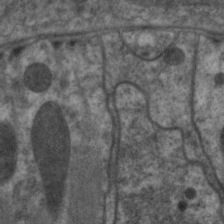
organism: C. elegans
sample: Pharynx